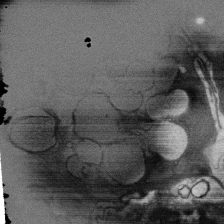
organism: Rat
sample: Salivary granule